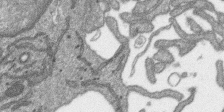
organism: Human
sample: Lung epithelial cells infected with SARS-CoV-2